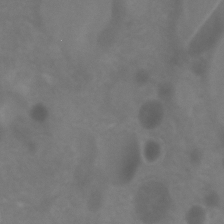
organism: Zebrafish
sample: Zebrafish embryo